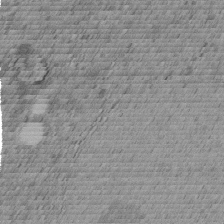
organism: C. elegans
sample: C. elegans embryo early stage